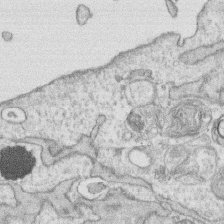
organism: Human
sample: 1205lu cells